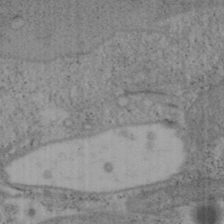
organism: Mouse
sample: OT-I killer T cells with ID8 ovarian cancer cells